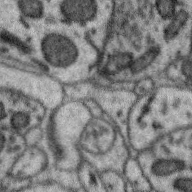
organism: Zebra finch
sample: Brain